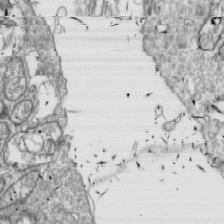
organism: Drosophila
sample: Cell division; meiosis; drosophila spermatocytes